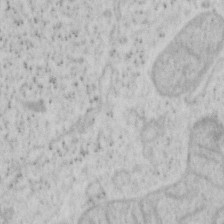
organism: Human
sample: HeLa cells